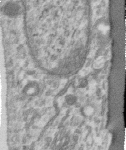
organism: Human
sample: Centriole in RPE cells